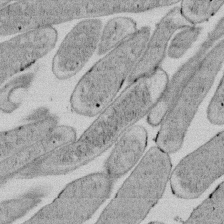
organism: E. coli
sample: Bacterial nucleoid